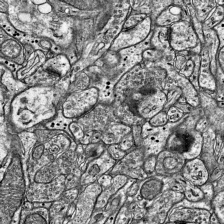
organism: Mouse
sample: Visual Cortex